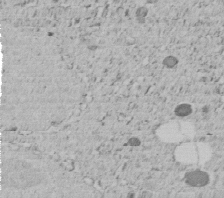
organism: C. elegans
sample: C. elegans embryo early stage